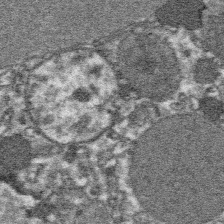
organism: Platynereis dumerilii